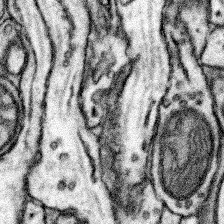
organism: Mouse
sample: Somatosensory cortex neuropil